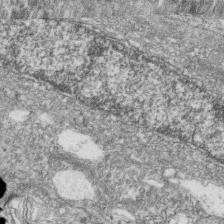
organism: Zebrafish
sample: Cilia; retinal pigment epithelium